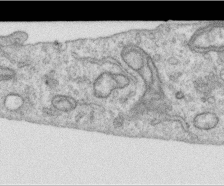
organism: Human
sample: Centriole in RPE cells